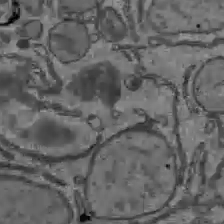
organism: C57BL Mouse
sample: Liver